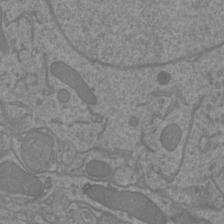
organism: Mouse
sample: Cortical neurons